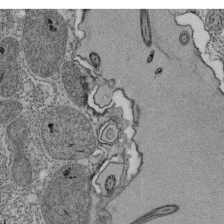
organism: Tetrahymena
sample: Cilia in tetrahymena